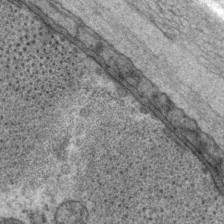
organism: P. pacificus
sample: Pharynx